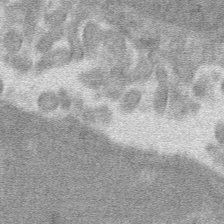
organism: Mouse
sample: Mouse hepatocytes